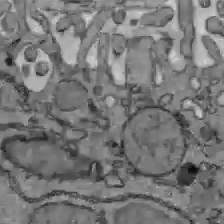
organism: C57BL Mouse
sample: Liver